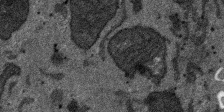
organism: Human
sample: Lung epithelial cells infected with SARS-CoV-2